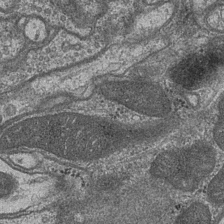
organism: Drosophila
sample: Optic medulla